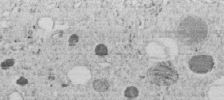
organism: C. elegans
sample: C. elegans embryo early stage